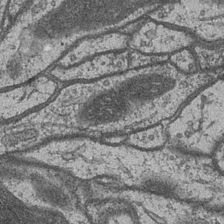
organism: Drosophila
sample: Optic medulla